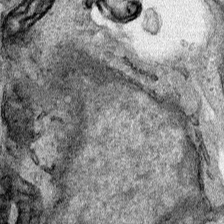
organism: Human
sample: Mitochondria in HCT116 cells